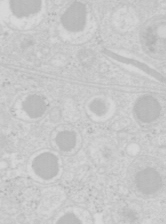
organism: Mouse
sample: Pancreas